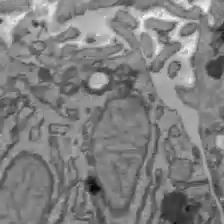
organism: C57BL Mouse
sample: Liver